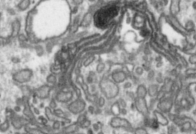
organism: Toxoplasma gondii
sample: Parasites in a vacuole inside a host cell